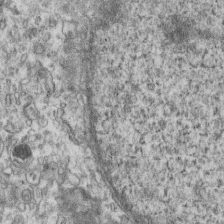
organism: Mouse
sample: Centriole in ependymal cells